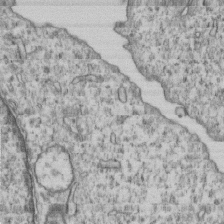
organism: Human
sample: MDA-MB-231 cells